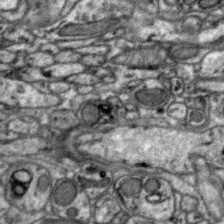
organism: Zebra finch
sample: Brain